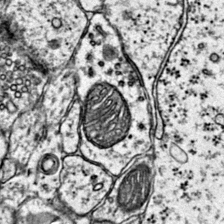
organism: Mouse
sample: Primary visual cortex